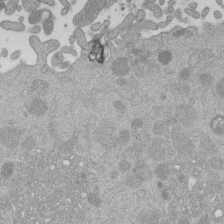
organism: Mouse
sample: Dividing mouse embryo 1 cell stage